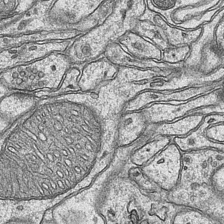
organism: Mouse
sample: CA1 Hippocampus